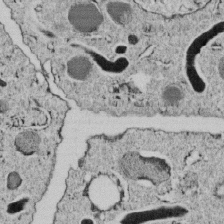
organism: C. elegans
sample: C. elegans embryo early stage